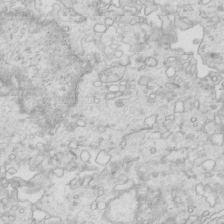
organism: Mouse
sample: Multiciliated cells